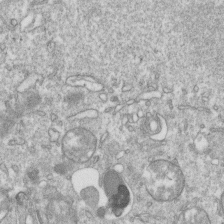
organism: Mouse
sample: Activated OT-1 CD8+ T cells